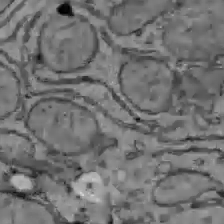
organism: C57BL Mouse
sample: Liver